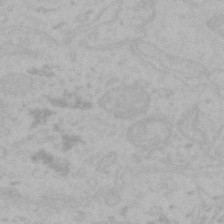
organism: Mouse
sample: Choroid plexus